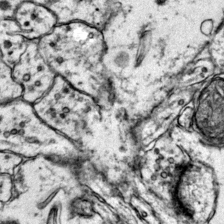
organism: Mouse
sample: Primary visual cortex